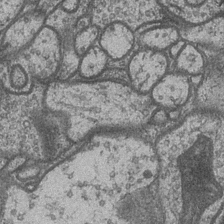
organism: Drosophila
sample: Optic medulla